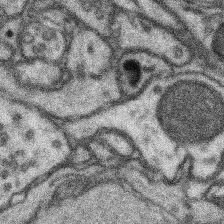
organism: Mouse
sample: Somatosensory cortex neuropil